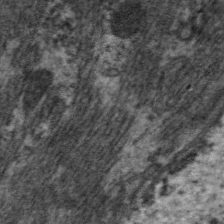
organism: C. elegans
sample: Pharynx